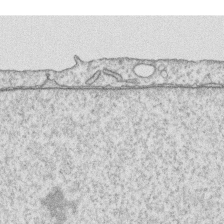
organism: Human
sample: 1205lu cells